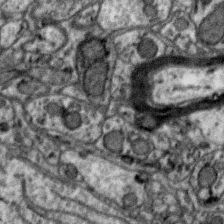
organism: Zebra finch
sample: Brain